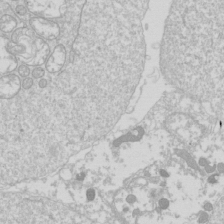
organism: Drosophila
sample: Cell division; meiosis; drosophila spermatocytes